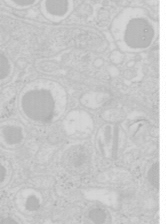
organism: Mouse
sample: Pancreas